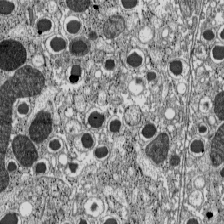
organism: C57BL Mouse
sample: Pancreatic islet